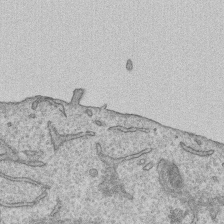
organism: Human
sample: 1205lu cells